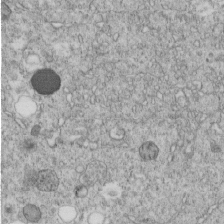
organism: C. elegans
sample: C. elegans embryo early stage